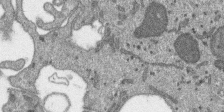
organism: Human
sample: Lung epithelial cells infected with SARS-CoV-2